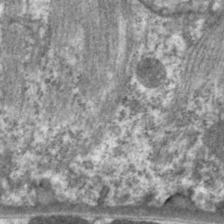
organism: C. elegans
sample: Pharynx